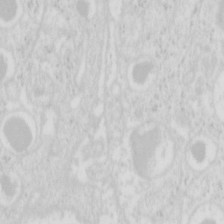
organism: Mouse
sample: Pancreas